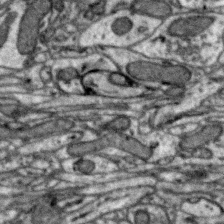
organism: Zebra finch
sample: Brain